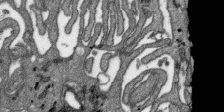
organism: Human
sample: Lung epithelial cells, uninfected (mock) control